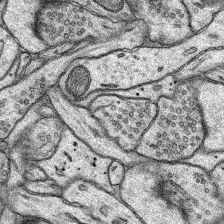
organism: Rat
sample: Hippocampus